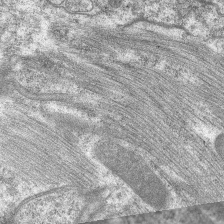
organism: C. elegans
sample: Pharynx